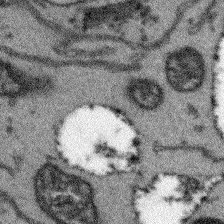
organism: Arabidopsis thaliana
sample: Root tip